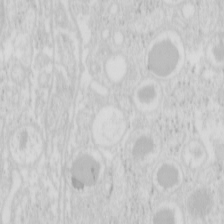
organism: Mouse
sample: Pancreas